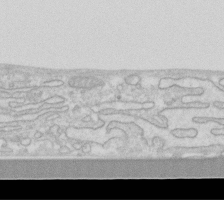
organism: Human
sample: Fibroblast cells